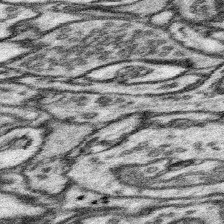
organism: Mouse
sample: Somatosensory cortex neuropil